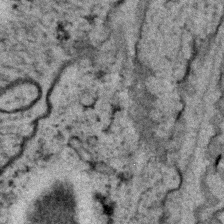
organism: C. elegans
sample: C. elegans embryo